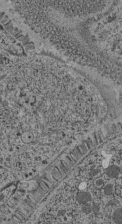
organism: C. elegans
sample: C. elegans pharynx